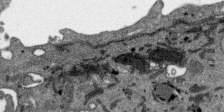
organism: Human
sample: Lung epithelial cells, uninfected (mock) control